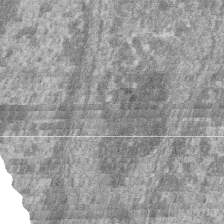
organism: Zebrafish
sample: Cilia; retinal pigment epithelium